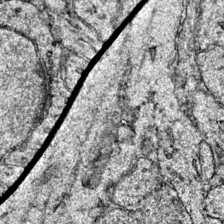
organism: Mouse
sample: Primary visual cortex